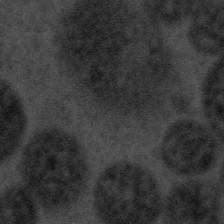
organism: Tuwongella immobilis